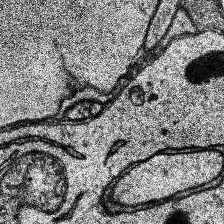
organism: Human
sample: Temporal Lobe